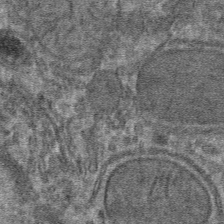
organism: Mouse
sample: Mouse hepatocytes